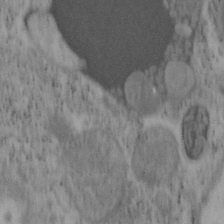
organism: Mouse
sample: OT-I killer T cells with ID8 ovarian cancer cells